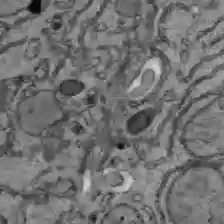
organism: C57BL Mouse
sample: Liver